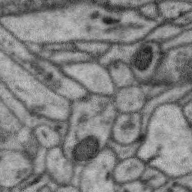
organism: Zebra finch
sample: Brain